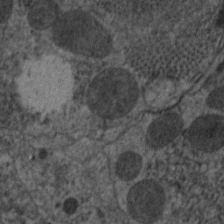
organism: C. elegans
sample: Pharynx